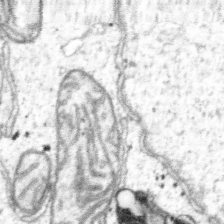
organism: Human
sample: HeLa cells